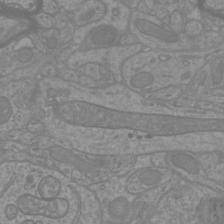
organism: Mouse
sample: Cortical neurons